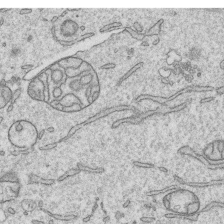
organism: Human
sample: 1205lu cells